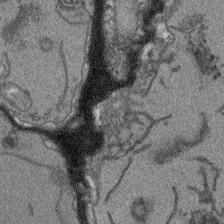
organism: Arabidopsis thaliana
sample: Root tip